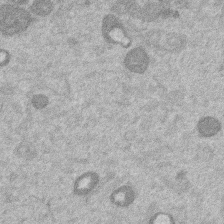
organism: Mouse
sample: Dividing mouse embryo 1 cell stage